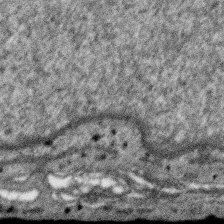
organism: Human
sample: Lung epithelial cells infected with SARS-CoV-2